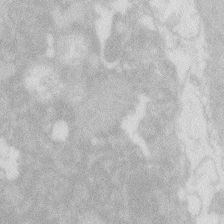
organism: Zebrafish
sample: Macrophage